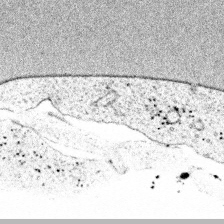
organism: Human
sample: HeLa cells